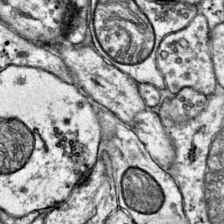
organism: Mouse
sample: Primary visual cortex